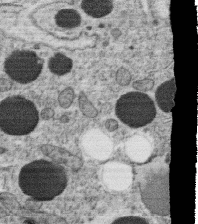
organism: C. elegans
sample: C. elegans oocyte; sperm cells